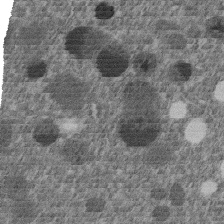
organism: C. elegans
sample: C. elegans embryo early stage